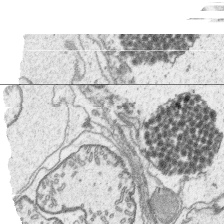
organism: Platynereis dumerilii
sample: Parapodia